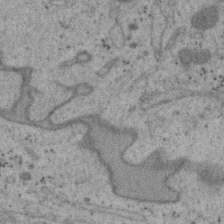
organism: Human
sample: HeLa cells